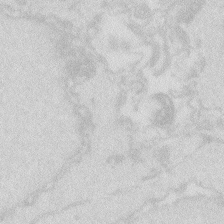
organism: Zebrafish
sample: Macrophage